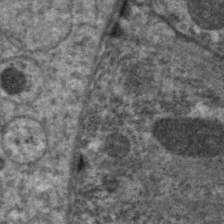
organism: C. elegans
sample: Pharynx